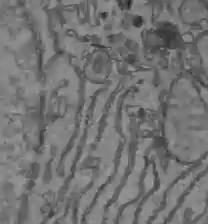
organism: C57BL Mouse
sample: Liver